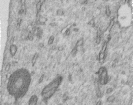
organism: Human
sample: Centriole in RPE cells